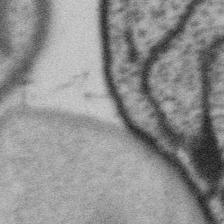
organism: Gemmata obscuriglobus